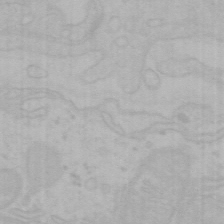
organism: Mouse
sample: Choroid plexus